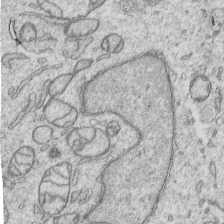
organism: Human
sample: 1205lu cells